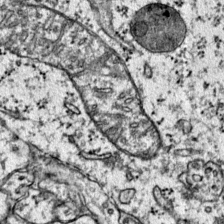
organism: Mouse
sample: Primary visual cortex